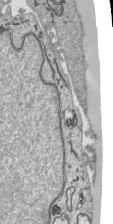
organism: Human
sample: Mitochondria in HCT116 cells